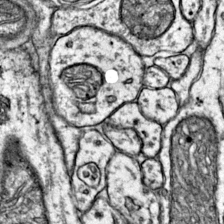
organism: Mouse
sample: Primary visual cortex